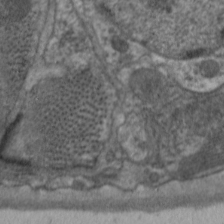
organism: C. elegans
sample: Pharynx